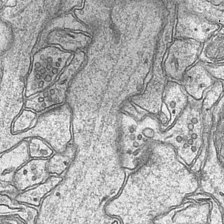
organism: Mouse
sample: CA1 Hippocampus